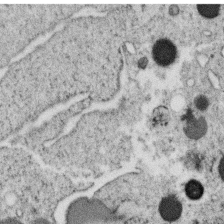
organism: C. elegans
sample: C. elegans oocyte; sperm cells